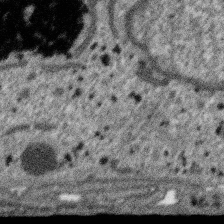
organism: Human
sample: Lung epithelial cells infected with SARS-CoV-2